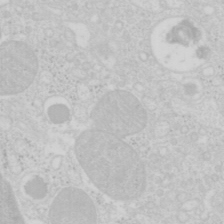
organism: Mouse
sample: Pancreas